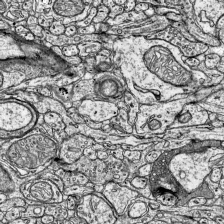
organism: Mouse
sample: Visual Cortex